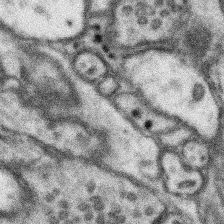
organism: Mouse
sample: Somatosensory cortex neuropil